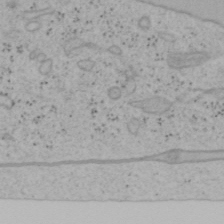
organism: Human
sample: HeLa cells